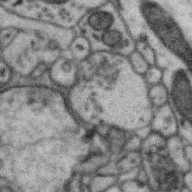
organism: Zebra finch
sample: Brain